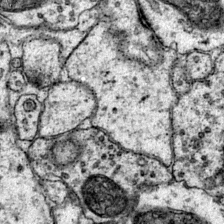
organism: Mouse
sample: Primary visual cortex